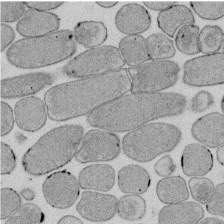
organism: E. coli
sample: Bacterial nucleoid